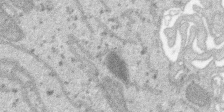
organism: Human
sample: Lung epithelial cells infected with SARS-CoV-2